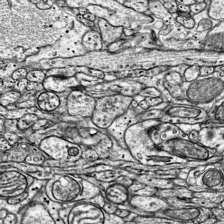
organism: Mouse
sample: Visual Cortex